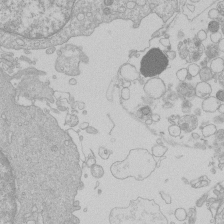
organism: Human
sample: Macrophage cells